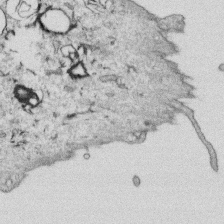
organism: Human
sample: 1205lu cells